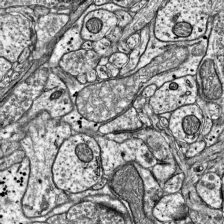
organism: Mouse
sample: Visual Cortex